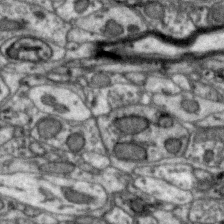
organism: Zebra finch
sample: Brain